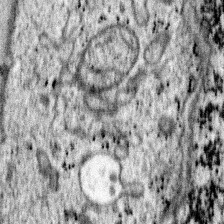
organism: Human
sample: HeLa cells